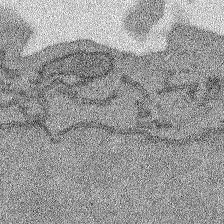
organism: Human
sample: HeLa cells